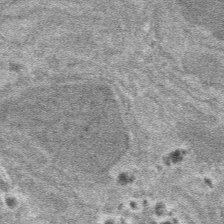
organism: Mouse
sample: Mouse hepatocytes